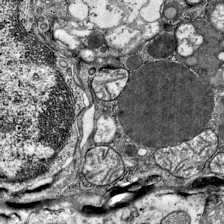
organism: Mouse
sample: Visual Cortex